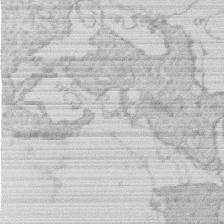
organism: Human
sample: Macrophage cells